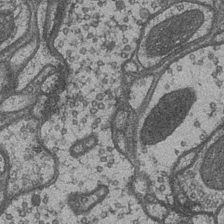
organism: Drosophila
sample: Optic medulla